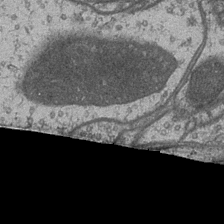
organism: Drosophila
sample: Optic medulla